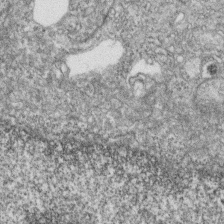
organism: Zebrafish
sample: Cilia; retinal pigment epithelium